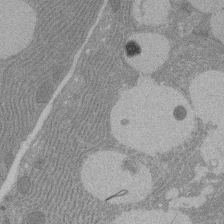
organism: Rat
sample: Salivary granule